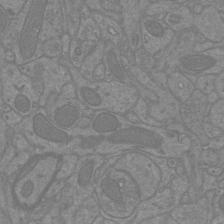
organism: Mouse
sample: Cortical neurons